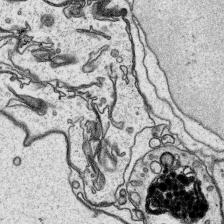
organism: Platynereis dumerilii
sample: Parapodia